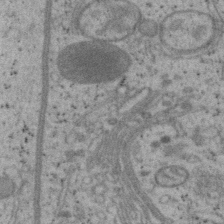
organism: Human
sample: HeLa cells